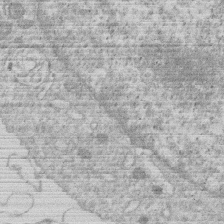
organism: Human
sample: Macrophage cells